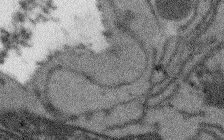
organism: Arabidopsis thaliana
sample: Root tip